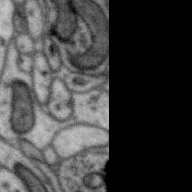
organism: Zebra finch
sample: Brain